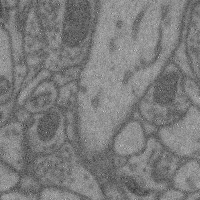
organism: Mouse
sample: Cerebral cortex